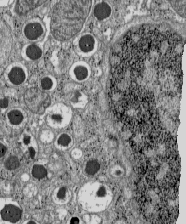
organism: C57BL Mouse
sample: Pancreatic islet